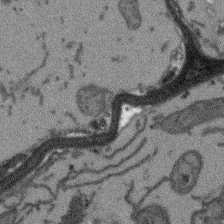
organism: Arabidopsis thaliana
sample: Root tip